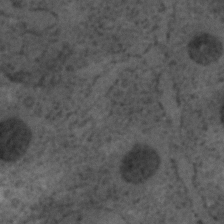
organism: C. elegans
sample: C. elegans embryo